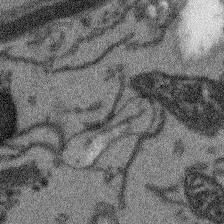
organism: Arabidopsis thaliana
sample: Root tip